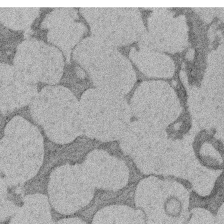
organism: Rat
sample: Salivary granule